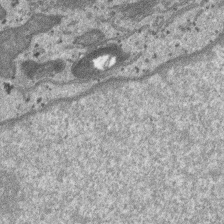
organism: Human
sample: Lung epithelial cells infected with SARS-CoV-2